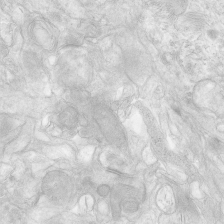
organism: Human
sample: Neocortex